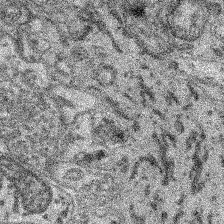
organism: Mouse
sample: Retina